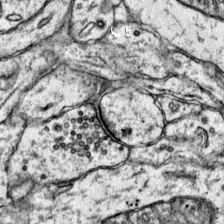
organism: Mouse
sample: Primary visual cortex